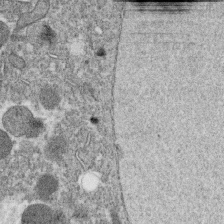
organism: C. elegans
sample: C. elegans oocyte; sperm cells